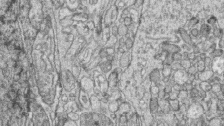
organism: Zebrafish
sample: synaptic ribbons in rod cells and cone cells